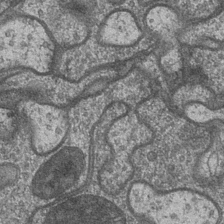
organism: Drosophila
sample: Optic medulla